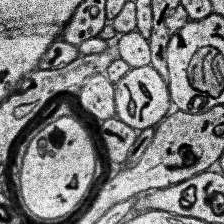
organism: Human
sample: Temporal Lobe